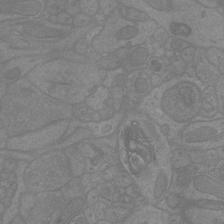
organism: Mouse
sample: Cortical neurons